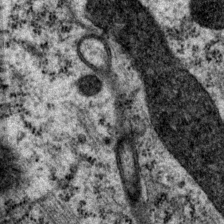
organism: P. pacificus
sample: Pharynx